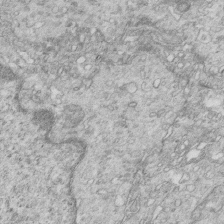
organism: Mouse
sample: Multiciliated cells